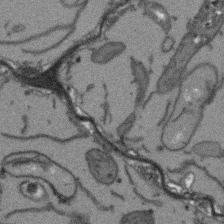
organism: Arabidopsis thaliana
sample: Root tip